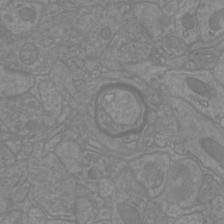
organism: Mouse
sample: Cortical neurons